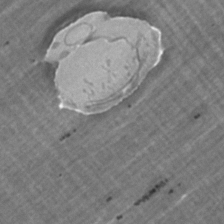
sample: Trachea